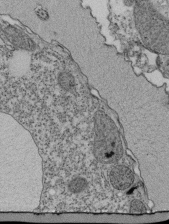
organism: Tetrahymena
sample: Cilia in tetrahymena